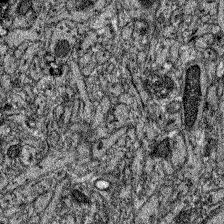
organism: Zebrafish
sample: Larval olfactory bulb